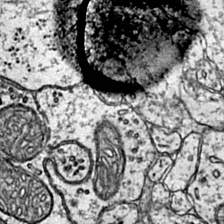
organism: Mouse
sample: Primary visual cortex